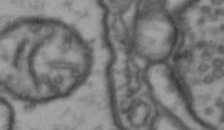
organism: Drosophila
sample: Brain